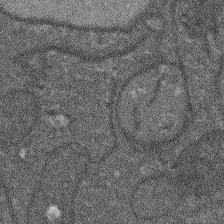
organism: Arabidopsis thaliana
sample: Root tip